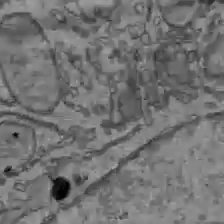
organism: C57BL Mouse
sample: Liver